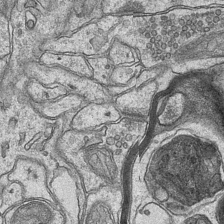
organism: Mouse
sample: CA1 Hippocampus